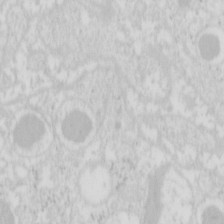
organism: Mouse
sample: Pancreas